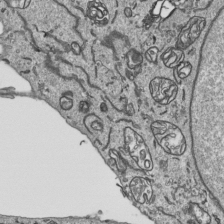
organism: Human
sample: Mitochondria in HCT116 cells